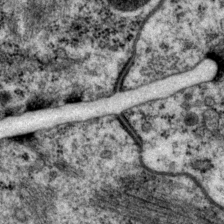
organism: P. pacificus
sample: Pharynx